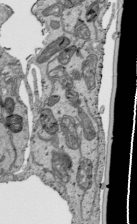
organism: Human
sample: Mitochondria in HCT116 cells